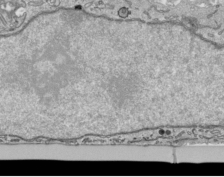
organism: Human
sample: Mitochondria in HCT116 cells